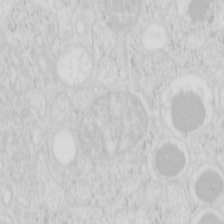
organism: Mouse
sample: Pancreas